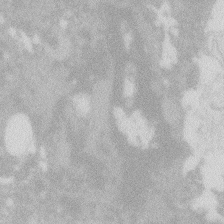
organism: Zebrafish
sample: Macrophage